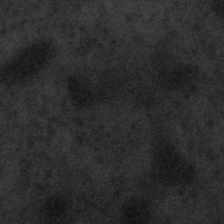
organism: Tuwongella immobilis